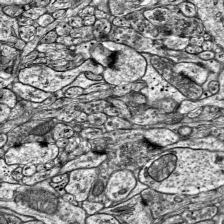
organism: Mouse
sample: Visual Cortex